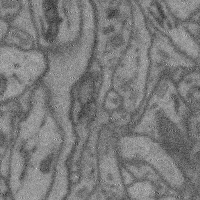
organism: Mouse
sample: Cerebral cortex